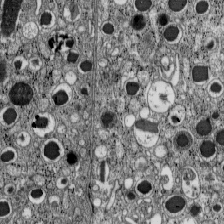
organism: C57BL Mouse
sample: Pancreatic islet